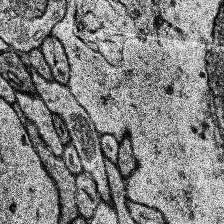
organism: Human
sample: Temporal Lobe